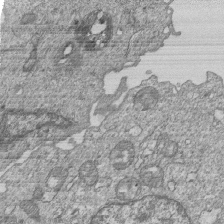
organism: Human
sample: MDA-MB-231 cells